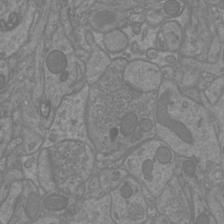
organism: Mouse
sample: Cortical neurons